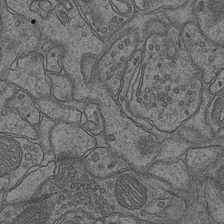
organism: Mouse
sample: CA1 Hippocampus